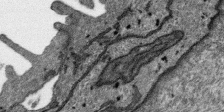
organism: Human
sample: Lung epithelial cells, uninfected (mock) control